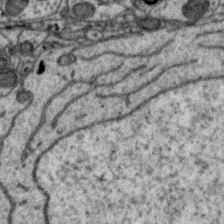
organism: Zebra finch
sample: Brain